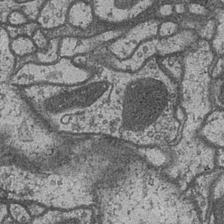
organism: Drosophila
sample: Optic medulla